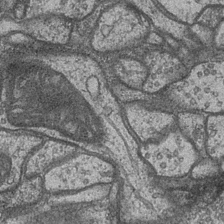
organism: Drosophila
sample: Optic medulla